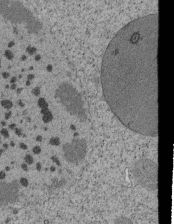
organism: Tetrahymena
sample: Cilia in tetrahymena